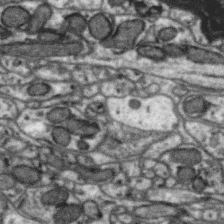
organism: Zebra finch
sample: Brain